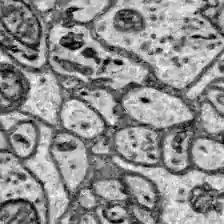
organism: Zebrafish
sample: Brain